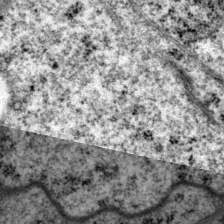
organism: P. pacificus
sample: Pharynx